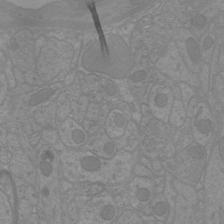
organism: Mouse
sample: Cortical neurons